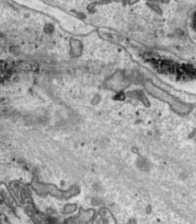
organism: Toxoplasma gondii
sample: Parasites in a vacuole inside a host cell